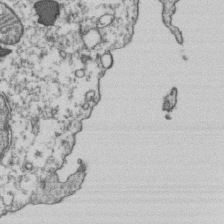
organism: Human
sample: Activated Jurkat CD4+ T cells